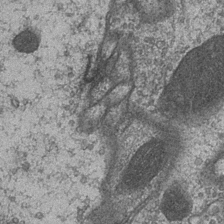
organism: Drosophila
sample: Optic medulla